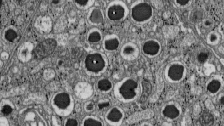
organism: C57BL Mouse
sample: Pancreatic islet